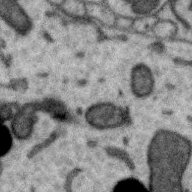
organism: Zebra finch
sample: Brain